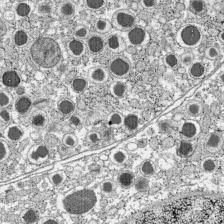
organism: C57BL Mouse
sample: Pancreatic islet